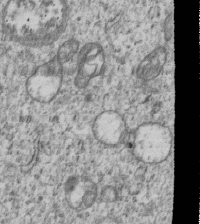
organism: Human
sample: MDA-MB-231 cells